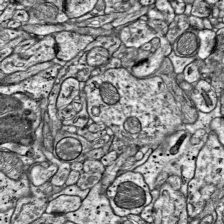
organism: Mouse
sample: Visual Cortex